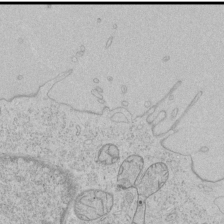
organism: Human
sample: Mitochondria in HCT116 cells